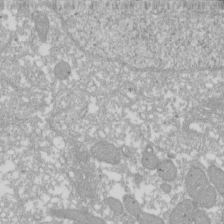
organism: Xenopus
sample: Cilia; centrioles in frog embryo cells